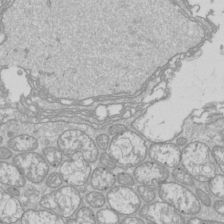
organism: Drosophila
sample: Cell division; meiosis; drosophila spermatocytes